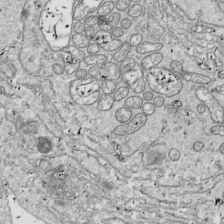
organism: Drosophila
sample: Cell division; meiosis; drosophila spermatocytes